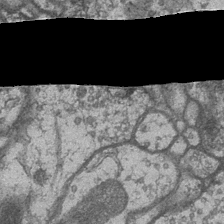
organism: Drosophila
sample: Optic medulla